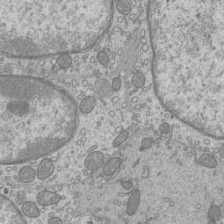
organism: Mouse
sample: Cilia; mouse epididymis